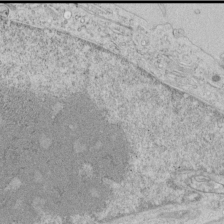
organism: Human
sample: Mitochondria in HCT116 cells